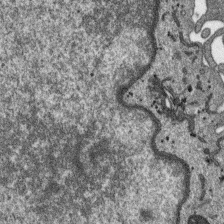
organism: Human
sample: Lung epithelial cells infected with SARS-CoV-2